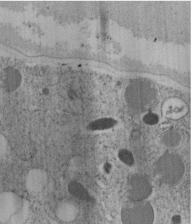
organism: C. elegans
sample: C. elegans embryo early stage